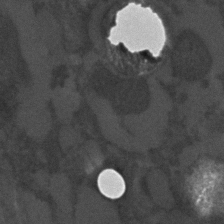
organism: C. elegans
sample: C. elegans embryo